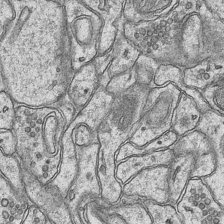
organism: Mouse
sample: CA1 Hippocampus